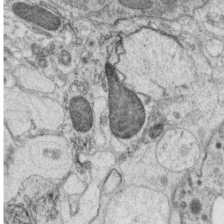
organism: C. elegans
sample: C. elegans oocyte; sperm cells